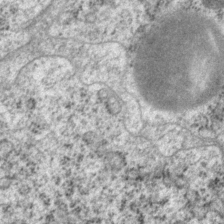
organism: P. pacificus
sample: Pharynx